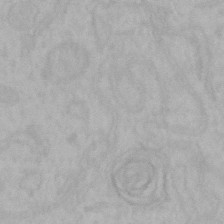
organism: Mouse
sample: Choroid plexus